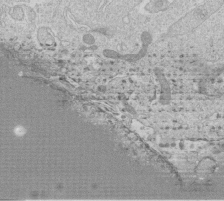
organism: Human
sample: Macrophage cells